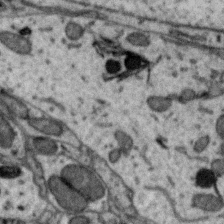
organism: Zebra finch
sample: Brain